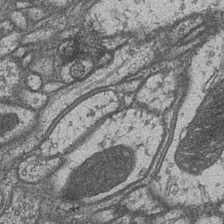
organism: Drosophila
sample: Optic medulla